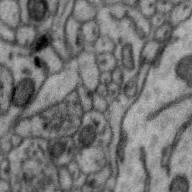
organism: Zebra finch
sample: Brain